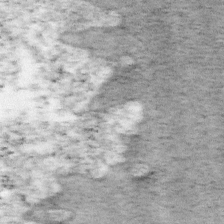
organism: Mouse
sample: OT-I killer T cells with ID8 ovarian cancer cells